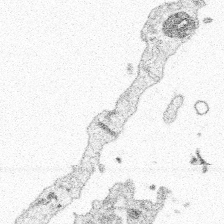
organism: Spongilla lacustris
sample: Multiple